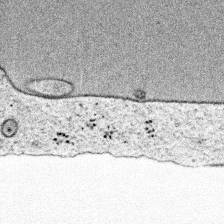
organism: Human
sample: HeLa cells